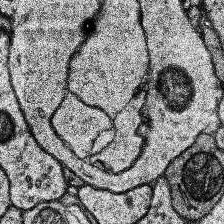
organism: Human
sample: Temporal Lobe